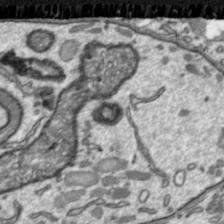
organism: Toxoplasma gondii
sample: Parasites in a vacuole inside a host cell